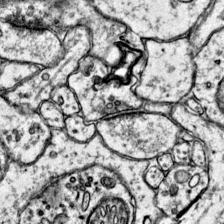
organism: Mouse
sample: Primary visual cortex